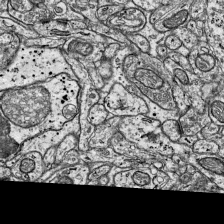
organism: Mouse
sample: Visual Cortex